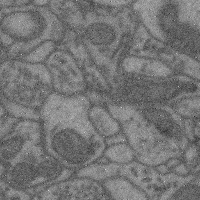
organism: Mouse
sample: Cerebral cortex